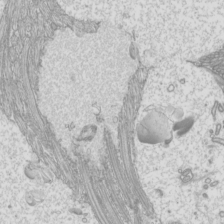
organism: Mouse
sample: Cilia; mouse epididymis